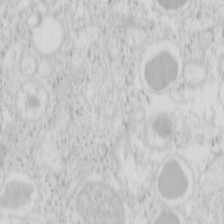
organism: Mouse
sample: Pancreas